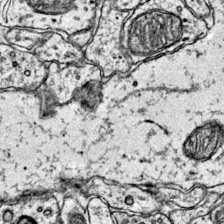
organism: Mouse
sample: Primary visual cortex